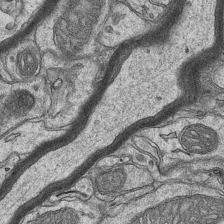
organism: Mouse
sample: CA1 Hippocampus